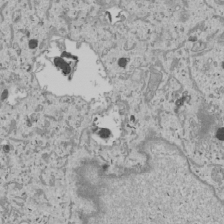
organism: Human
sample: Mitochondria in U2OS cells